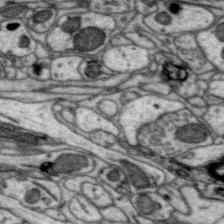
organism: Zebra finch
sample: Brain